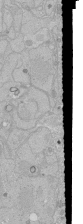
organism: Human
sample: Caco-2 cells